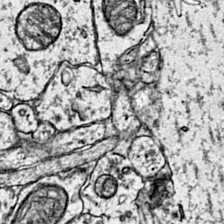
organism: Mouse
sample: Primary visual cortex